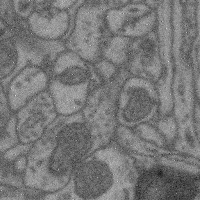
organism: Mouse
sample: Cerebral cortex